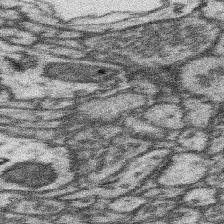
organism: Mouse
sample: Somatosensory cortex neuropil